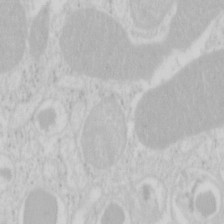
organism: Mouse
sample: Pancreas